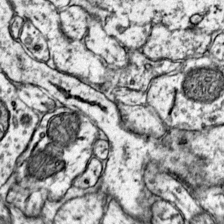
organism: Mouse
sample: Primary visual cortex